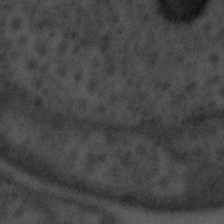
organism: Tuwongella immobilis